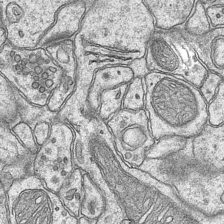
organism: Mouse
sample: CA1 Hippocampus